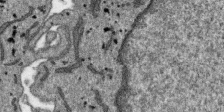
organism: Human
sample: Lung epithelial cells, uninfected (mock) control